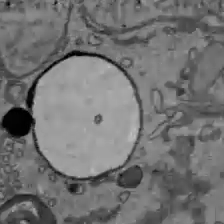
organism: C57BL Mouse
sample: Liver